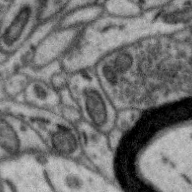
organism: Zebra finch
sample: Brain